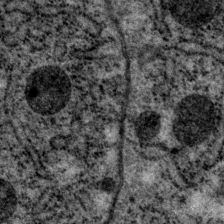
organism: P. pacificus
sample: Pharynx